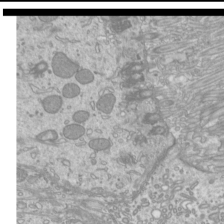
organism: Mouse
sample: Cilia; mouse epididymis